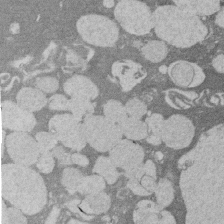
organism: Rat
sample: Salivary granule